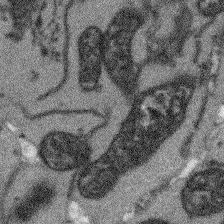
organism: Arabidopsis thaliana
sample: Root tip